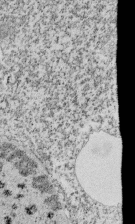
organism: Tetrahymena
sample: Cilia in tetrahymena